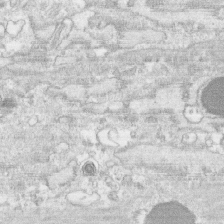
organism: Human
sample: CRL-1474